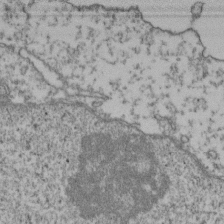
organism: Human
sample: Activated Jurkat CD4+ T cells